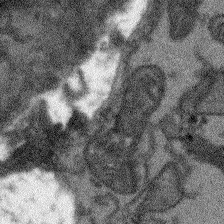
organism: Arabidopsis thaliana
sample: Root tip